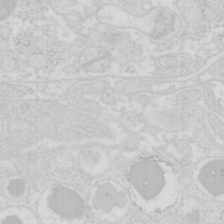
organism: Mouse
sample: Pancreas